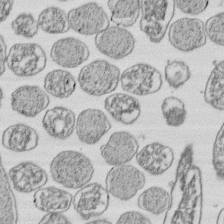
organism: E. coli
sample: Bacterial nucleoid